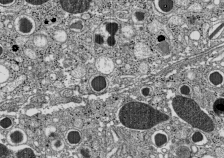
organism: C57BL Mouse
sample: Pancreatic islet